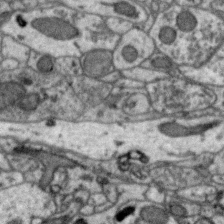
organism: Zebra finch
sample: Brain